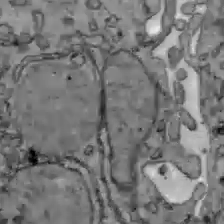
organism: C57BL Mouse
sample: Liver